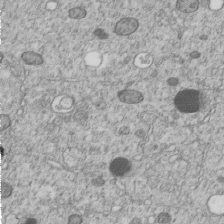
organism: C. elegans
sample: C. elegans embryo early stage